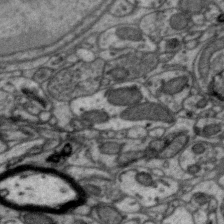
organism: Zebra finch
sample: Brain